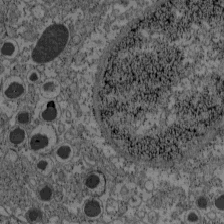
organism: C57BL Mouse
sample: Pancreatic islet